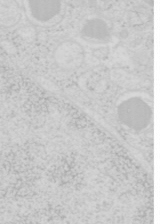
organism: Mouse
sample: Pancreas